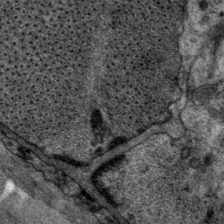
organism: P. pacificus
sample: Pharynx